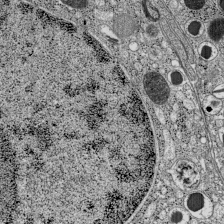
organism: C57BL Mouse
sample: Pancreatic islet